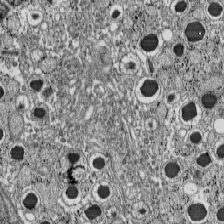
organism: C57BL Mouse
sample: Pancreatic islet